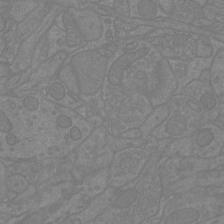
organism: Mouse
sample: Cortical neurons